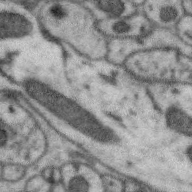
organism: Zebra finch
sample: Brain